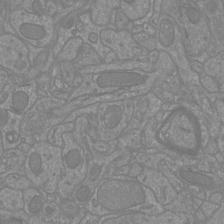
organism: Mouse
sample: Cortical neurons